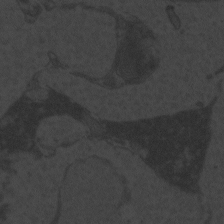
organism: Zebrafish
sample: Macrophage infected with Toxoplasma gondii